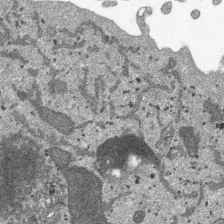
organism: Human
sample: Lung epithelial cells infected with SARS-CoV-2